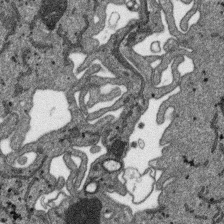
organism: Human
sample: Lung epithelial cells infected with SARS-CoV-2